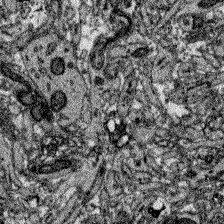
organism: Zebrafish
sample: Larval olfactory bulb